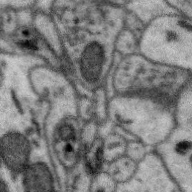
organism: Zebra finch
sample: Brain